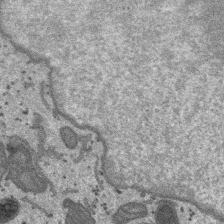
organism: Human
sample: Lung epithelial cells infected with SARS-CoV-2